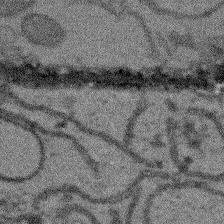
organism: Arabidopsis thaliana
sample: Root tip